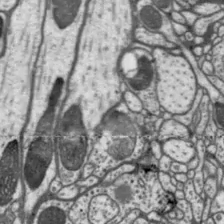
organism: Drosophila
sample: Protocerebral bridge